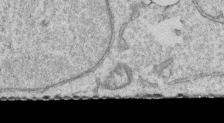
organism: Human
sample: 1205lu cells